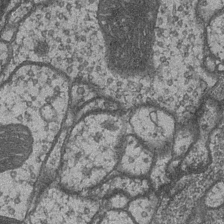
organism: Drosophila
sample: Optic medulla